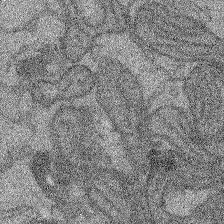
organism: Human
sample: HeLa cells